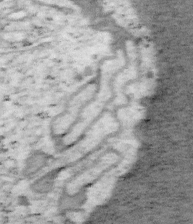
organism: Mouse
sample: OT-I killer T cells with ID8 ovarian cancer cells